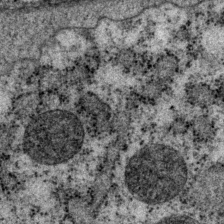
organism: P. pacificus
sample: Pharynx